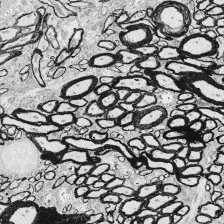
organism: Zebrafish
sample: Whole-Brain